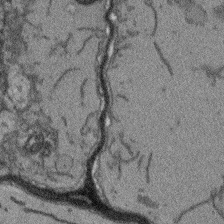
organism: Arabidopsis thaliana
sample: Root tip